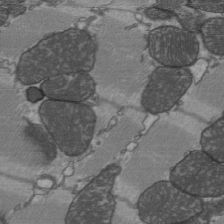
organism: C57BL Mouse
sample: Heart